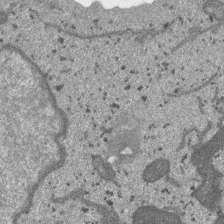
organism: Human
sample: Lung epithelial cells infected with SARS-CoV-2